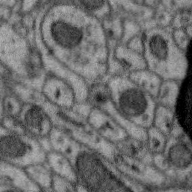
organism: Zebra finch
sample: Brain